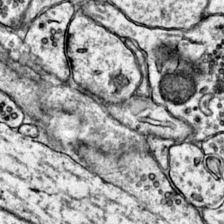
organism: Mouse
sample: Primary visual cortex